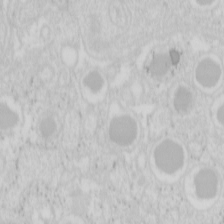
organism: Mouse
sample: Pancreas